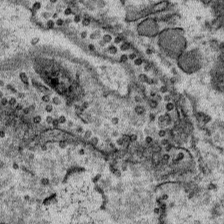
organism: Mouse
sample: Mouse Salivary gland